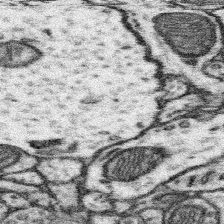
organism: Mouse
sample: Somatosensory cortex neuropil